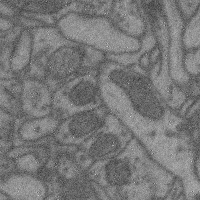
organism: Mouse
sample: Cerebral cortex